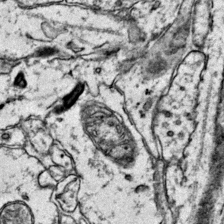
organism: Mouse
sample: Primary visual cortex